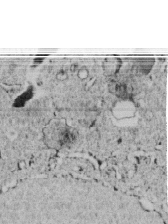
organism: C. elegans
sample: C. elegans embryo early stage